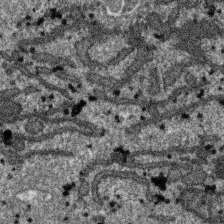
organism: Human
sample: Lung epithelial cells infected with SARS-CoV-2